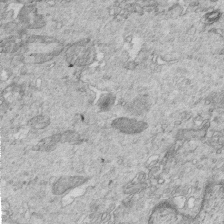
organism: Mouse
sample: Multiciliated cells